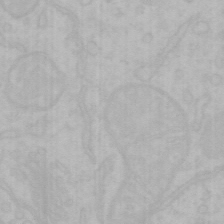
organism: Mouse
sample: Choroid plexus